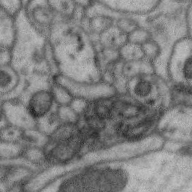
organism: Zebra finch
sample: Brain